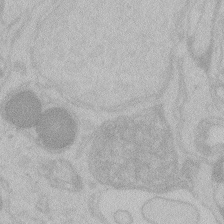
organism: Zebrafish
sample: Macrophage infected with Toxoplasma gondii